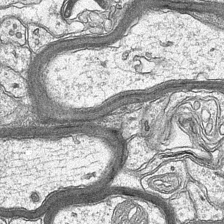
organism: Mouse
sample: CA1 Hippocampus